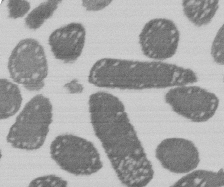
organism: E. coli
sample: Bacterial nucleoid